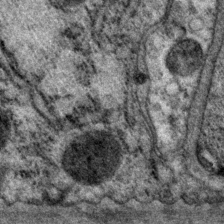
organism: P. pacificus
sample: Pharynx